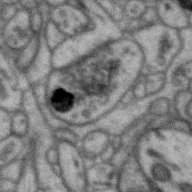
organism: Zebra finch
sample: Brain